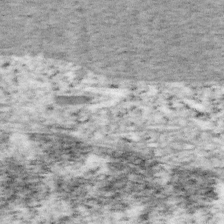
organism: Mouse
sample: OT-I killer T cells with ID8 ovarian cancer cells